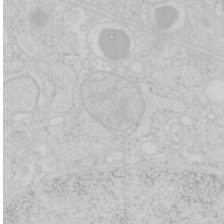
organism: Mouse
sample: Pancreas